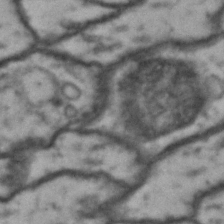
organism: Drosophila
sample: Brain